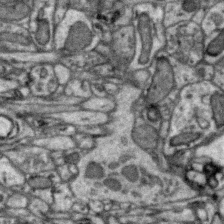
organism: Zebra finch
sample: Brain